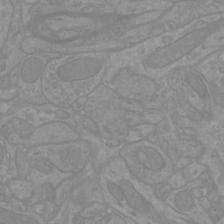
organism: Mouse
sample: Cortical neurons